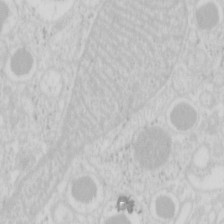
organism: Mouse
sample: Pancreas